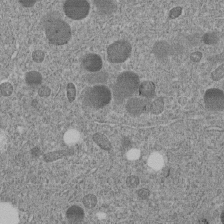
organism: C. elegans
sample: C. elegans embryo early stage